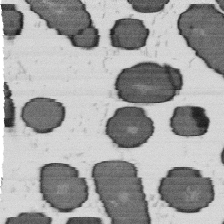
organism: B. subtilis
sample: Bacterial spore